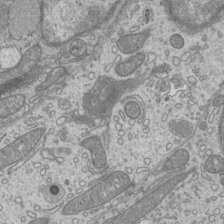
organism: Mouse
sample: Cilia; mouse epididymis